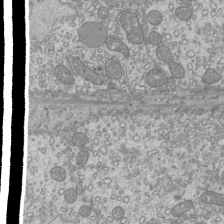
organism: Mouse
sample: Cilia; mouse epididymis